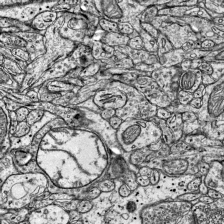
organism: Mouse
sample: Visual Cortex